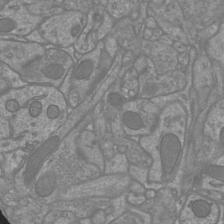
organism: Mouse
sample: Cortical neurons